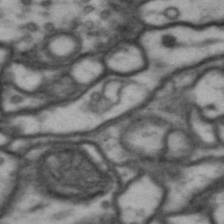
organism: Drosophila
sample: Brain